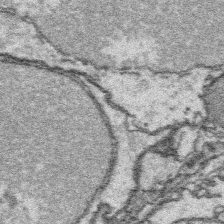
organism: Platynereis dumerilii